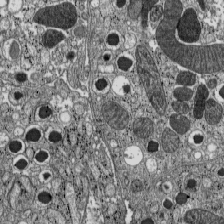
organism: C57BL Mouse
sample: Pancreatic islet